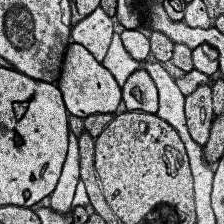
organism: Human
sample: Temporal Lobe